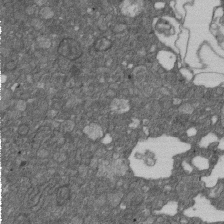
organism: Drosophila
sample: Nephrocyte